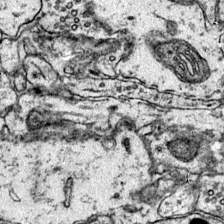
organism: Mouse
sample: Primary visual cortex